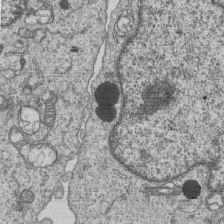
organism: Human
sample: MDA-MB-231 cells